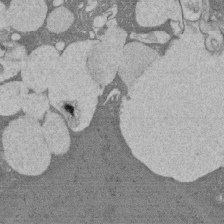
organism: Rat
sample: Salivary granule